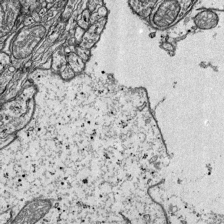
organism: Mouse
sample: Visual Cortex